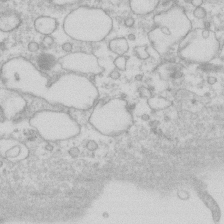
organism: Human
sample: Fibroblast cells